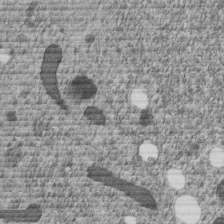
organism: C. elegans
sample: C. elegans embryo early stage